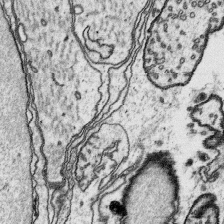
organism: Platynereis dumerilii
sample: Parapodia